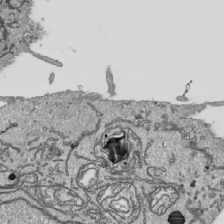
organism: Human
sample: Mitochondria in HCT116 cells